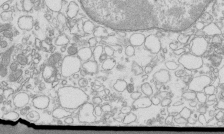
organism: Mouse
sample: Macrophages